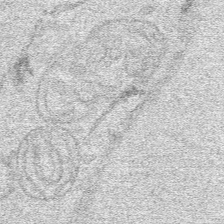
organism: Human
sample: Mitochondria in HCT116 cells